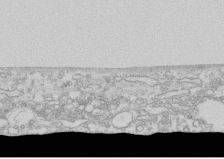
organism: Human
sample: CRL-1474